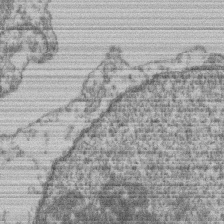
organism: Mouse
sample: T cell stromal cell synapse